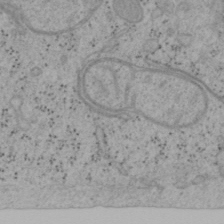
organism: Human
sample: HeLa cells